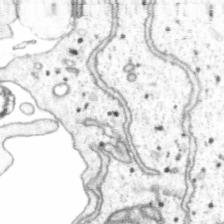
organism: Human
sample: HeLa cells